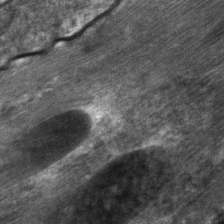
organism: C. elegans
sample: Pharynx